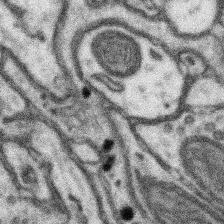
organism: Mouse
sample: Somatosensory cortex neuropil